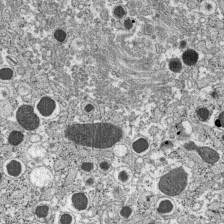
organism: C57BL Mouse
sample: Pancreatic islet